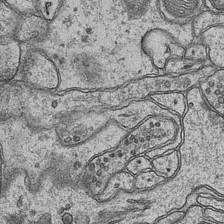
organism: Mouse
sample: CA1 Hippocampus